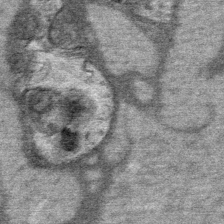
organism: Mouse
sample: Mouse Salivary gland